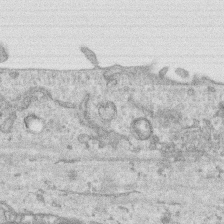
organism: Human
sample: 1205lu cells